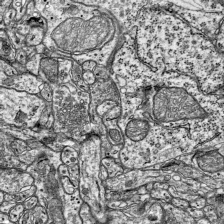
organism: Mouse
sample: Visual Cortex